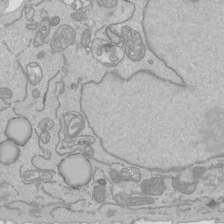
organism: Human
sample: Mitochondria in HCT116 cells